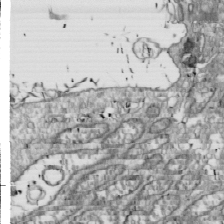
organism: Drosophila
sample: Cell division; meiosis; drosophila spermatocytes